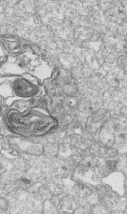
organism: Human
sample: HeLa cell HIV synapse